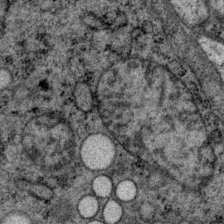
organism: P. pacificus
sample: Pharynx